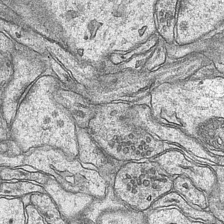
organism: Mouse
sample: CA1 Hippocampus